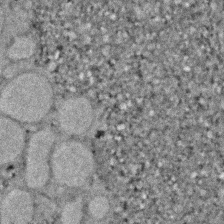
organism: Zebrafish